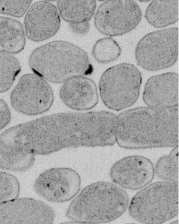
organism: E. coli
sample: Bacterial nucleoid